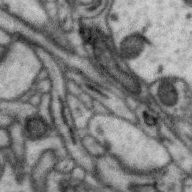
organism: Zebra finch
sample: Brain